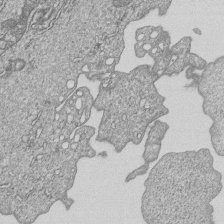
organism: Human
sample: MDA-MB-231 cells